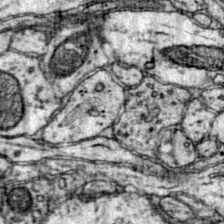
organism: Mouse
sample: Primary visual cortex